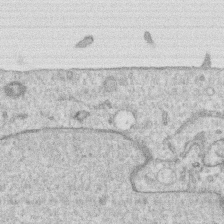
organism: Human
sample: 1205lu cells